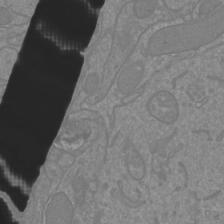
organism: Mouse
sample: Cortical neurons